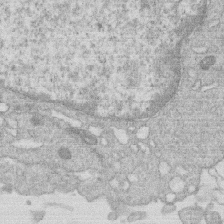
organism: Human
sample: Macrophage cells